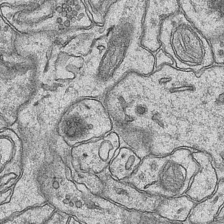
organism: Mouse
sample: CA1 Hippocampus